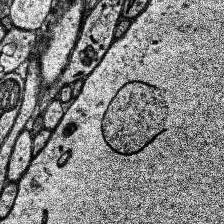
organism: Human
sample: Temporal Lobe